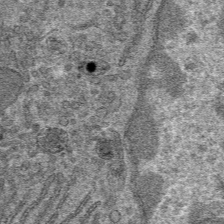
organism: Mouse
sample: Mouse hepatocytes